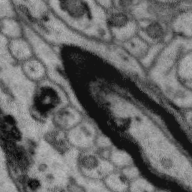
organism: Zebra finch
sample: Brain